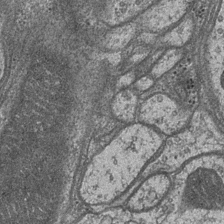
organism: Drosophila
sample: Optic medulla